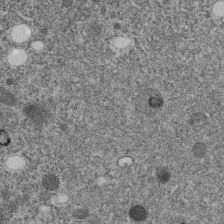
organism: C. elegans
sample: C. elegans embryo early stage